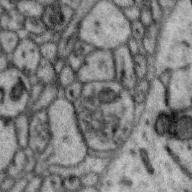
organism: Zebra finch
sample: Brain